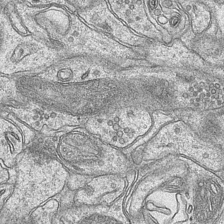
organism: Mouse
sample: CA1 Hippocampus